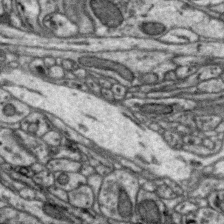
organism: Zebra finch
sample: Brain